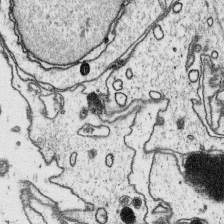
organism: Platynereis dumerilii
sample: Parapodia